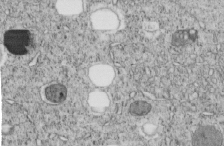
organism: C. elegans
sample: C. elegans embryo early stage